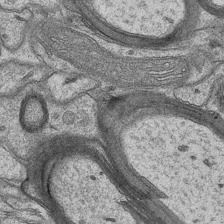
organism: Mouse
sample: CA1 Hippocampus